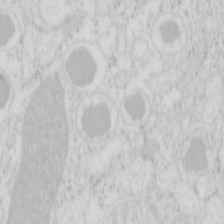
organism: Mouse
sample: Pancreas